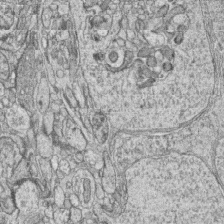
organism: Zebrafish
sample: synaptic ribbons in rod cells and cone cells